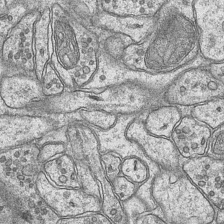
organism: Mouse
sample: CA1 Hippocampus